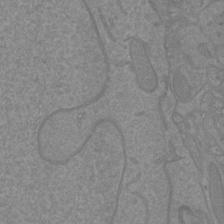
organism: Mouse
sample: Cortical neurons